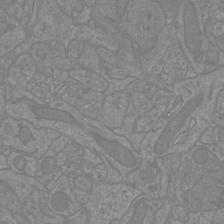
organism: Mouse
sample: Cortical neurons